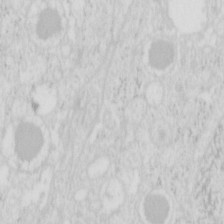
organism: Mouse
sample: Pancreas